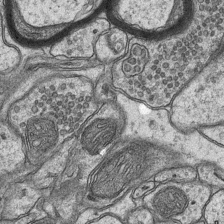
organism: Mouse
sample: CA1 Hippocampus